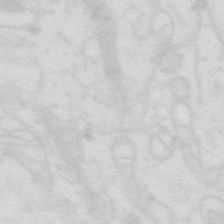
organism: Human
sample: HeLa cells